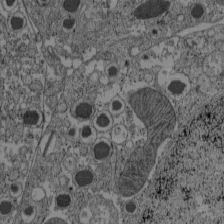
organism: C57BL Mouse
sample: Pancreatic islet